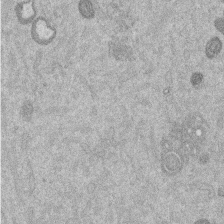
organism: Mouse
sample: Dividing mouse embryo 1 cell stage